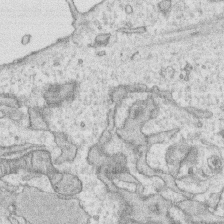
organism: Human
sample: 1205lu cells